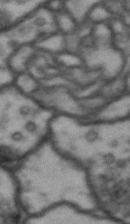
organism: Drosophila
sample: Brain